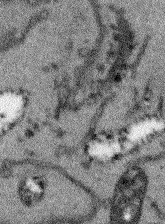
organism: Arabidopsis thaliana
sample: Root tip